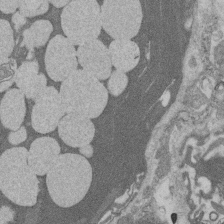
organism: Rat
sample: Salivary granule